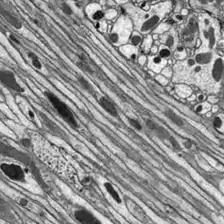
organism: Drosophila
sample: Optic lobe